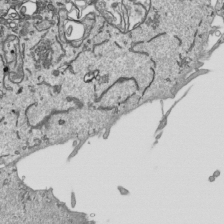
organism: Human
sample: Mitochondria in HCT116 cells